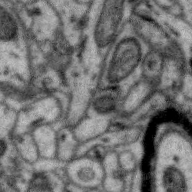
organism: Zebra finch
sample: Brain